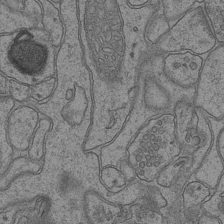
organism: Mouse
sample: CA1 Hippocampus